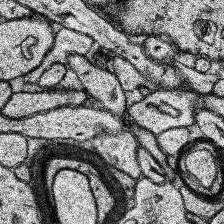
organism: Human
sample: Temporal Lobe